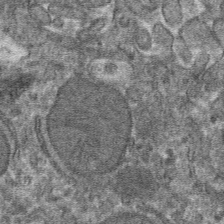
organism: Mouse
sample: Mouse hepatocytes